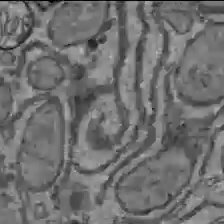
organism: C57BL Mouse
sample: Liver